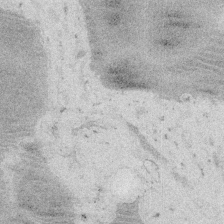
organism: Embia sp.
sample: Silk gland